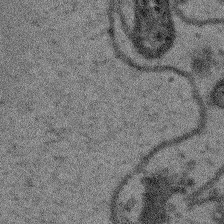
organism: Arabidopsis thaliana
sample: Root tip